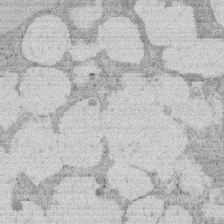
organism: Rat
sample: Salivary granule